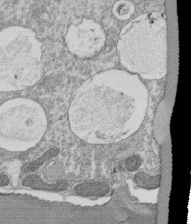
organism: Tetrahymena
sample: Cilia in tetrahymena